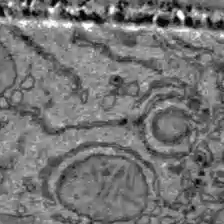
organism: C57BL Mouse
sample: Liver